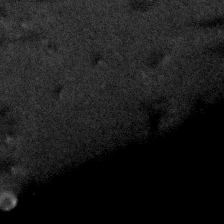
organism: Human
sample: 1205lu cells